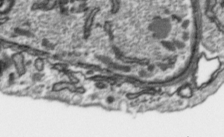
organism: Toxoplasma gondii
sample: Parasites in a vacuole inside a host cell